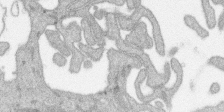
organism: Human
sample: Lung epithelial cells infected with SARS-CoV-2